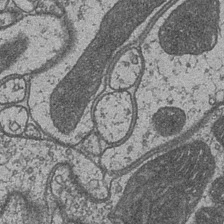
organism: Drosophila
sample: Optic medulla